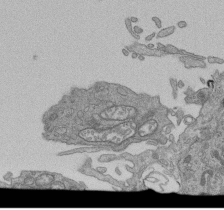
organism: Human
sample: Retinal organoid Rod and Cone cells